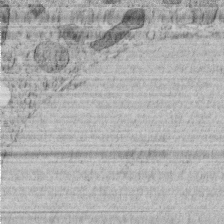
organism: C. elegans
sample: C. elegans embryo early stage